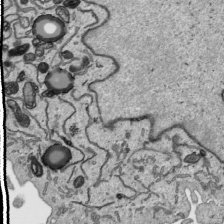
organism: Human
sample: Mitochondria in HCT116 cells